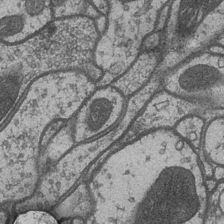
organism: Drosophila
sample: Optic medulla